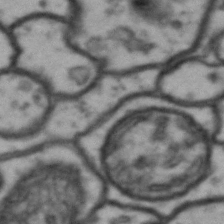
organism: Drosophila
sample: Brain